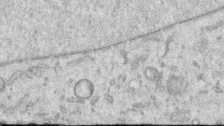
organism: Human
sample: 1205lu cells